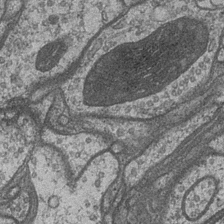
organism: Drosophila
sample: Optic medulla